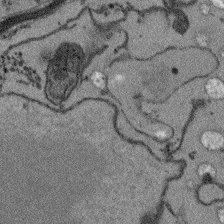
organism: Arabidopsis thaliana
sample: Root tip